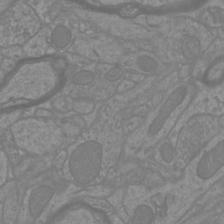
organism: Mouse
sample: Cortical neurons